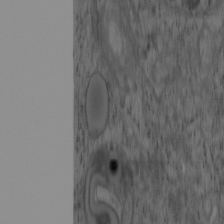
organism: Human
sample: HeLa cells